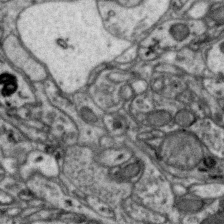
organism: Zebra finch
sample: Brain